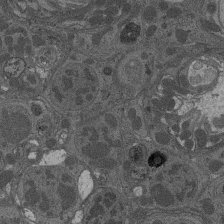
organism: Drosophila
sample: Antenna